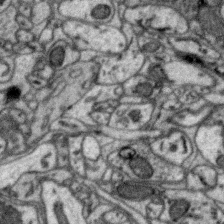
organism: Zebra finch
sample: Brain